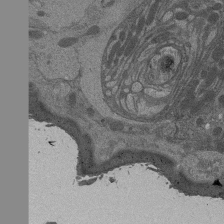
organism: Drosophila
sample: Antenna